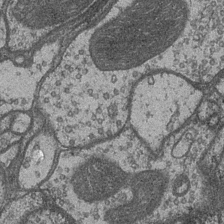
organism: Drosophila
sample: Optic medulla